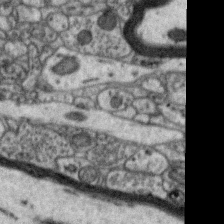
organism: Zebra finch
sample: Brain